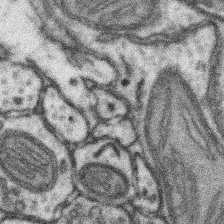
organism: Mouse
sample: Somatosensory cortex neuropil